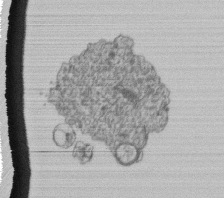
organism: Human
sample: Retinal organoid Rod and Cone cells